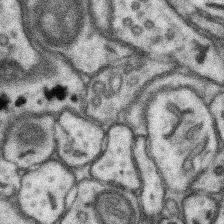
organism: Mouse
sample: Somatosensory cortex neuropil